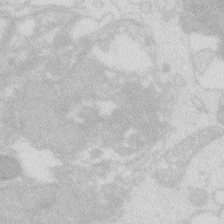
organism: Zebrafish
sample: Macrophage